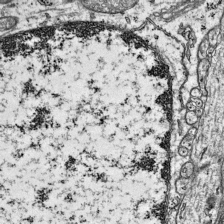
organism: Mouse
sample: Visual Cortex